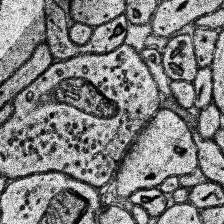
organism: Human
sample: Temporal Lobe